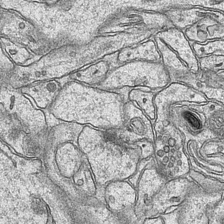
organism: Mouse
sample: CA1 Hippocampus